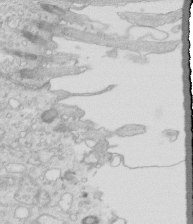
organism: Mouse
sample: Multiciliated cells